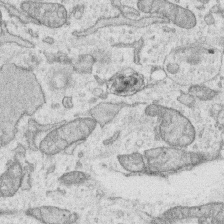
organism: Human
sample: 1205lu cells